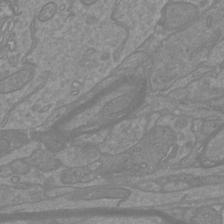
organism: Mouse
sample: Cortical neurons